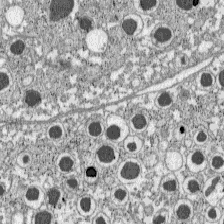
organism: C57BL Mouse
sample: Pancreatic islet